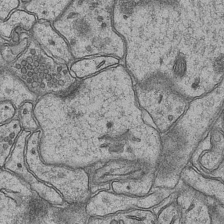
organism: Mouse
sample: CA1 Hippocampus